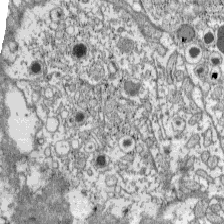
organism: C57BL Mouse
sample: Pancreatic islet